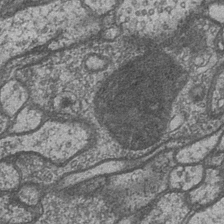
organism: Drosophila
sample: Optic medulla